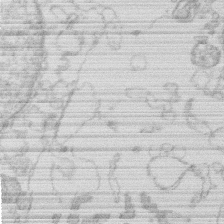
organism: Human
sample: Macrophage cells